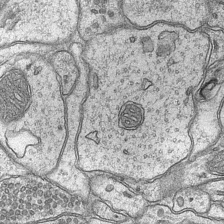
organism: Mouse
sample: CA1 Hippocampus